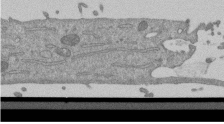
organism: Mouse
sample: ED-1 cell nuclei; centrioles